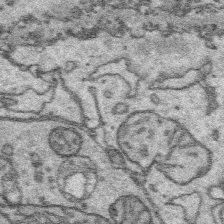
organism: Platynereis dumerilii